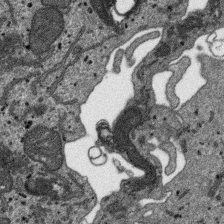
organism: Human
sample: Lung epithelial cells infected with SARS-CoV-2